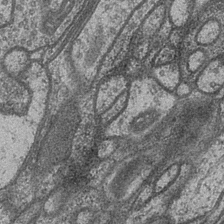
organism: Drosophila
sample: Optic medulla